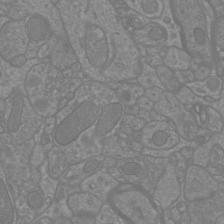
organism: Mouse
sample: Cortical neurons